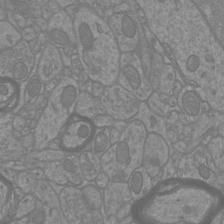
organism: Mouse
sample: Cortical neurons